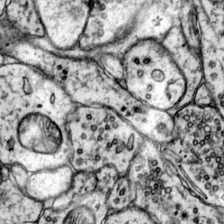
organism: Mouse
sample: Primary visual cortex